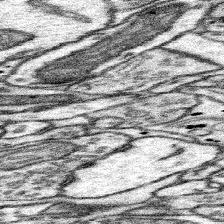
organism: Mouse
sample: Somatosensory cortex neuropil